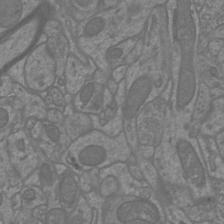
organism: Mouse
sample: Cortical neurons